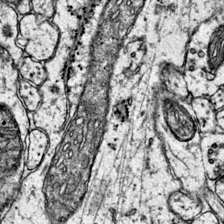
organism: Mouse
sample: Primary visual cortex